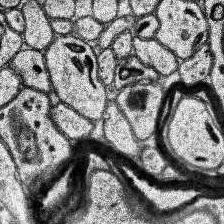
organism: Human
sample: Temporal Lobe